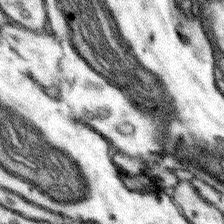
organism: Mouse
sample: Somatosensory cortex neuropil